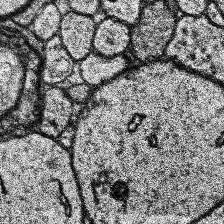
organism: Human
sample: Temporal Lobe